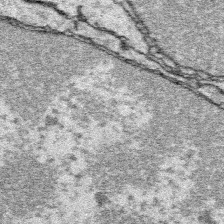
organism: Platynereis dumerilii